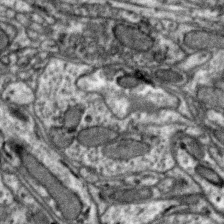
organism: Zebra finch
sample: Brain